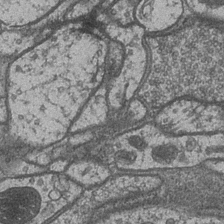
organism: Drosophila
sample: Optic medulla